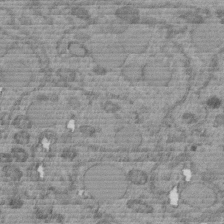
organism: C. elegans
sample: C. elegans embryo early stage